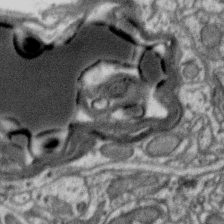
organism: Zebra finch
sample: Brain